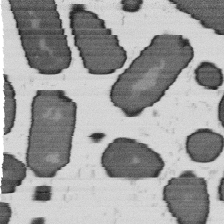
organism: B. subtilis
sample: Bacterial spore